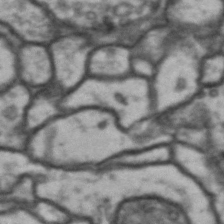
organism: Drosophila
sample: Brain